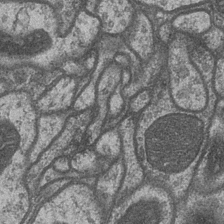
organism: Drosophila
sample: Optic medulla